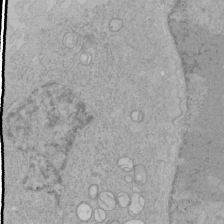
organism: Human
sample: Mitochondria in HCT116 cells